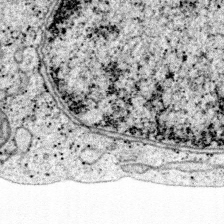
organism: Human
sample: HeLa cells